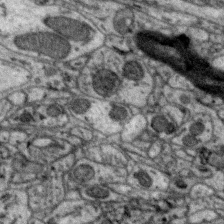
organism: Zebra finch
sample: Brain